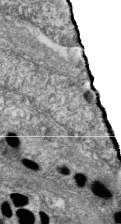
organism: Zebrafish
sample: Cilia; retinal pigment epithelium